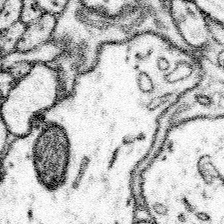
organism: Mouse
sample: Somatosensory cortex neuropil